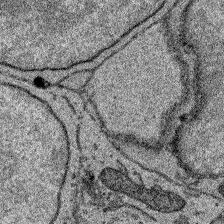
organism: Zebrafish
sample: Larval olfactory bulb